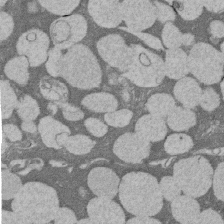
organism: Rat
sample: Salivary granule